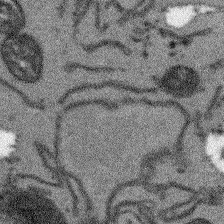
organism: Arabidopsis thaliana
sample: Root tip